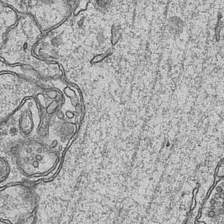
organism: Mouse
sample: CA1 Hippocampus